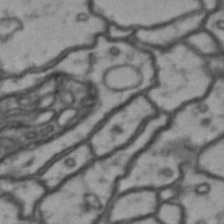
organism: Drosophila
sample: Brain